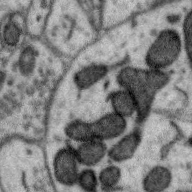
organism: Zebra finch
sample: Brain